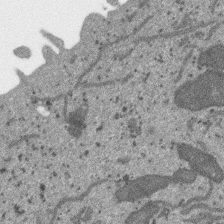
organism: Human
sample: Lung epithelial cells infected with SARS-CoV-2